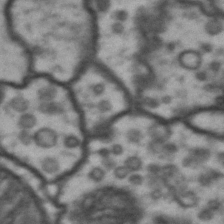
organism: Drosophila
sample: Brain